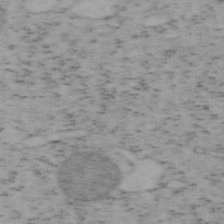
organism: Mouse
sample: OT-I killer T cells with ID8 ovarian cancer cells